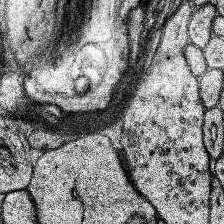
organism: Human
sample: Temporal Lobe